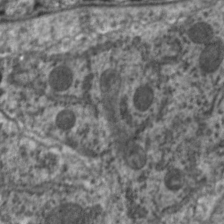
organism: C. elegans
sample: Pharynx